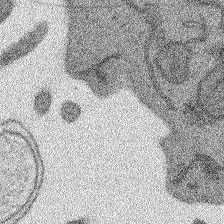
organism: Human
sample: HeLa cells